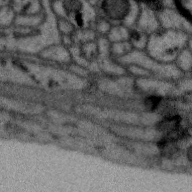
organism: Zebra finch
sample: Brain